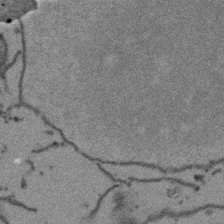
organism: Arabidopsis thaliana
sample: Root tip